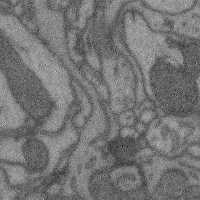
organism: Mouse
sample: Cerebral cortex